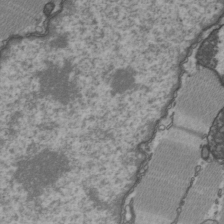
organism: C57BL Mouse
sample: Heart